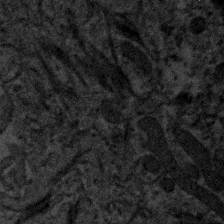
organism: Human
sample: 1205lu cells